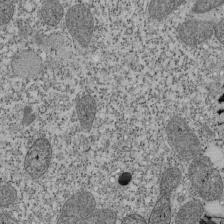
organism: Tetrahymena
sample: Cilia in tetrahymena